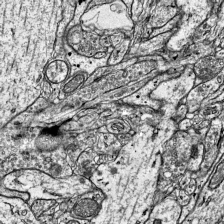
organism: Mouse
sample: Visual Cortex